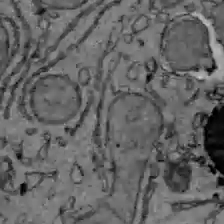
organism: C57BL Mouse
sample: Liver